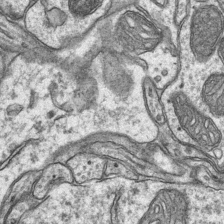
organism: Mouse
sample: CA1 Hippocampus